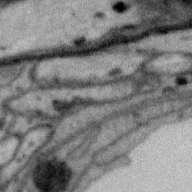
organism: Zebra finch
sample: Brain